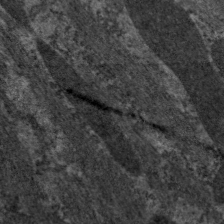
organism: C. elegans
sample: Pharynx